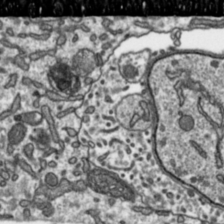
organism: Toxoplasma gondii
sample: Parasites in a vacuole inside a host cell